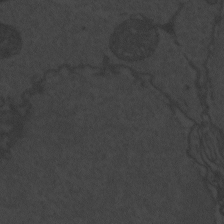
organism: Zebrafish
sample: Macrophage infected with Toxoplasma gondii